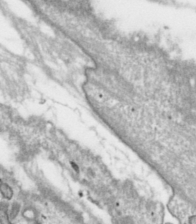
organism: Toxoplasma gondii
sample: Parasites in a vacuole inside a host cell